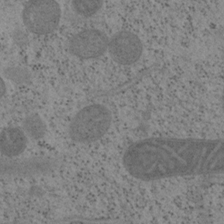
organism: Mouse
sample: OT-I killer T cells with ID8 ovarian cancer cells